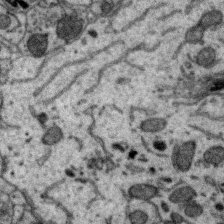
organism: Zebra finch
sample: Brain